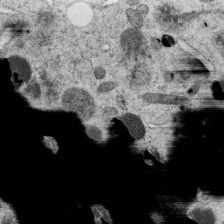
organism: C. elegans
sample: C. elegans oocyte; sperm cells